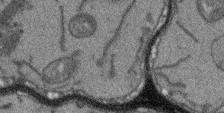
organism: Arabidopsis thaliana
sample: Root tip